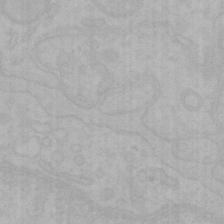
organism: Mouse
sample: Choroid plexus